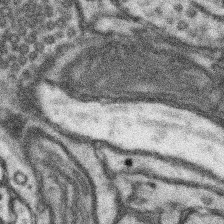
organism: Mouse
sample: Somatosensory cortex neuropil